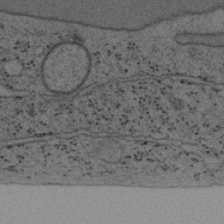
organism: Human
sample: HeLa cells